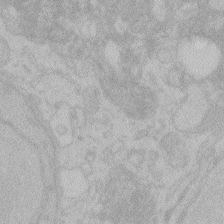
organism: Zebrafish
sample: Macrophage infected with Toxoplasma gondii